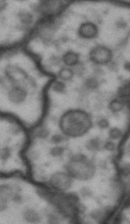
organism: Drosophila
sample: Brain